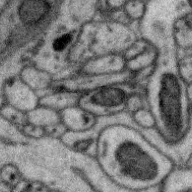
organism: Zebra finch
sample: Brain